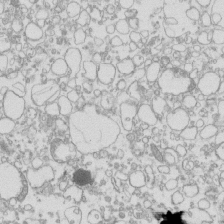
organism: Mouse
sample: Macrophages